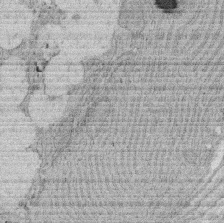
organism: Rat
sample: Salivary granule